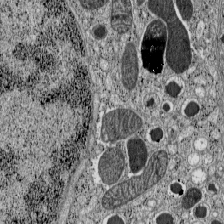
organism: C57BL Mouse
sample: Pancreatic islet